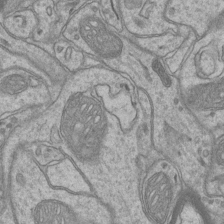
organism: Mouse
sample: CA1 Hippocampus